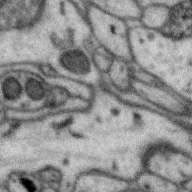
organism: Zebra finch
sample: Brain